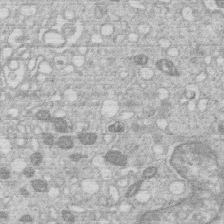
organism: Human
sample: Macrophage cells